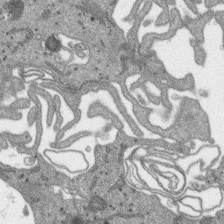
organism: Human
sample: Lung epithelial cells infected with SARS-CoV-2